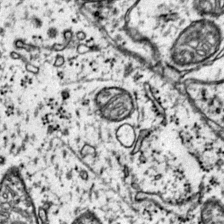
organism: Mouse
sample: Primary visual cortex